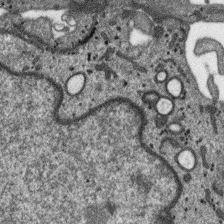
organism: Human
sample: Lung epithelial cells infected with SARS-CoV-2